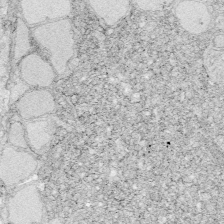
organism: Zebrafish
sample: Whole-Brain